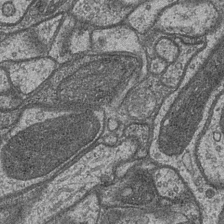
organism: Drosophila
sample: Optic medulla